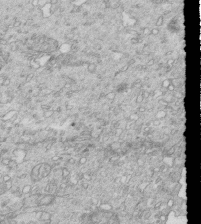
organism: Mouse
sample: Multiciliated cells